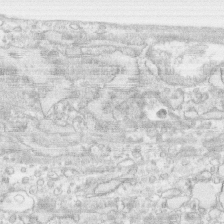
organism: Human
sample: CRL-1474